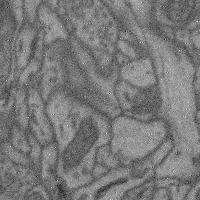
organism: Mouse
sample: Cerebral cortex